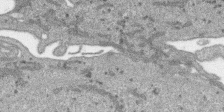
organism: Human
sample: Lung epithelial cells infected with SARS-CoV-2